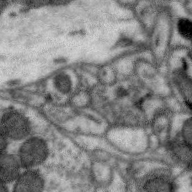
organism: Zebra finch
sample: Brain